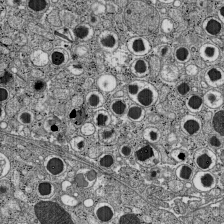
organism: C57BL Mouse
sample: Pancreatic islet